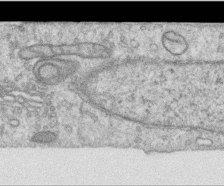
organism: Human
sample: Centriole in RPE cells